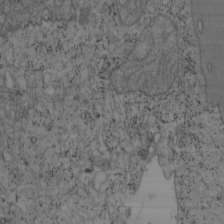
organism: Mouse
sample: OT-I killer T cells with ID8 ovarian cancer cells